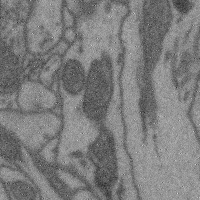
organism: Mouse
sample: Cerebral cortex